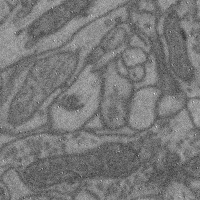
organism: Mouse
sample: Cerebral cortex